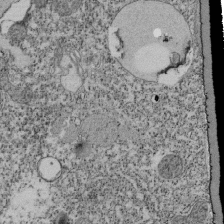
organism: Tetrahymena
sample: Cilia in tetrahymena